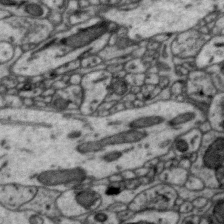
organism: Zebra finch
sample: Brain